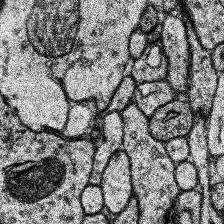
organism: Human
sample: Temporal Lobe